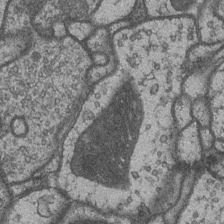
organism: Drosophila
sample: Optic medulla